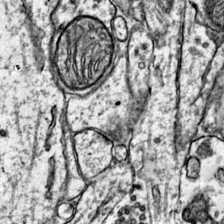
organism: Mouse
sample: Primary visual cortex